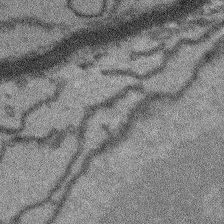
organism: Arabidopsis thaliana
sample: Root tip